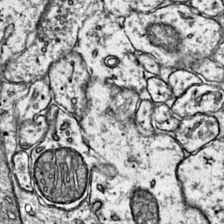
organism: Mouse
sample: Primary visual cortex